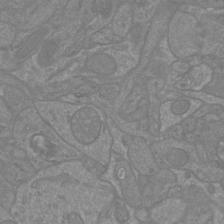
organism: Mouse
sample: Cortical neurons